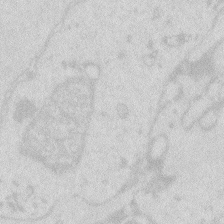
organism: Zebrafish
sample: Macrophage